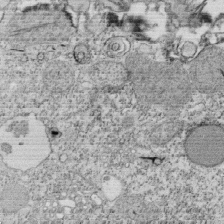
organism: Tetrahymena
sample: Cilia in tetrahymena